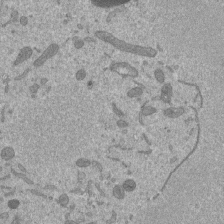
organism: Mouse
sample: ED-1 cell nuclei; centrioles